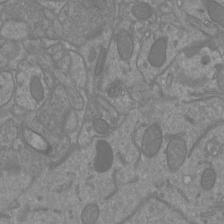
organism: Mouse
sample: Cortical neurons